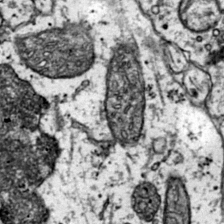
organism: Mouse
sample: Primary visual cortex